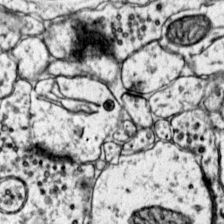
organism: Mouse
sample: Primary visual cortex